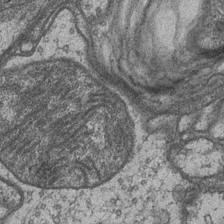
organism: Drosophila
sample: Optic medulla